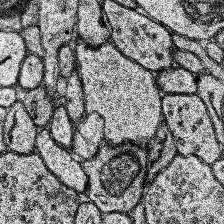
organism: Human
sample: Temporal Lobe